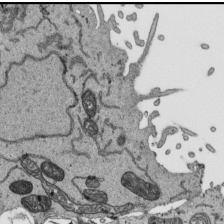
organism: Human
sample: Mitochondria in HCT116 cells